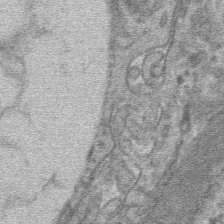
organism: Mouse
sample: Mouse hepatocytes